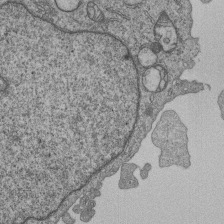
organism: Human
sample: MDA-MB-231 cells